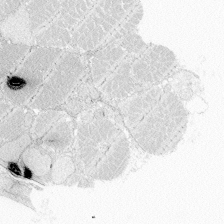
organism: Zebrafish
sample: Whole-Brain